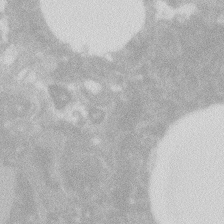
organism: Zebrafish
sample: Macrophage